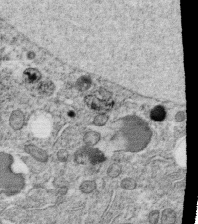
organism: C. elegans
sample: C. elegans oocyte; sperm cells